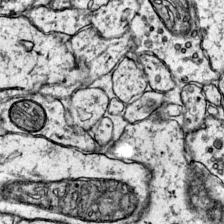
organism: Mouse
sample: Primary visual cortex